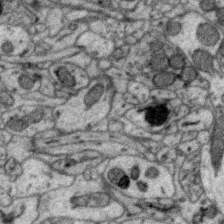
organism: Zebra finch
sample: Brain